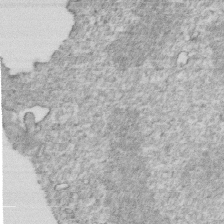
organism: Mouse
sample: Activated OT-1 CD8+ T cells